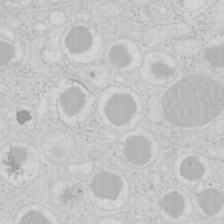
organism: Mouse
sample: Pancreas